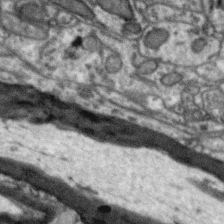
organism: Zebra finch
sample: Brain